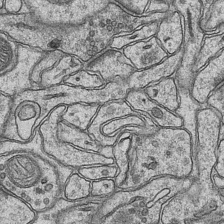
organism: Mouse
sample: CA1 Hippocampus